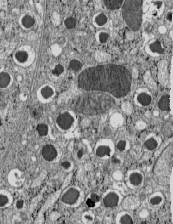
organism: C57BL Mouse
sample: Pancreatic islet